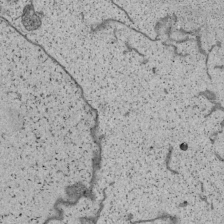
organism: Human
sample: Mitochondria in HCT116 cells